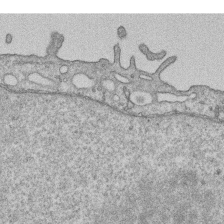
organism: Human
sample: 1205lu cells